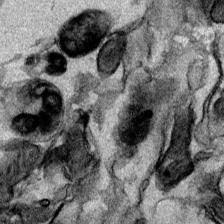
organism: Mouse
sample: Cancer cell death in ED-1 cells